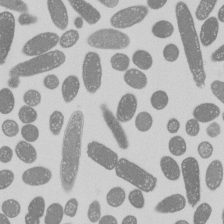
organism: E. coli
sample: Bacterial nucleoid